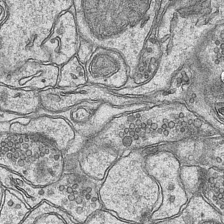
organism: Mouse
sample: CA1 Hippocampus